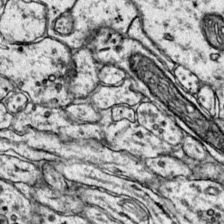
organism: Mouse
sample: Primary visual cortex